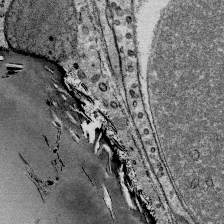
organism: Mouse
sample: Mouse Salivary gland